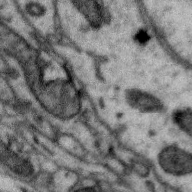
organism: Zebra finch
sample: Brain